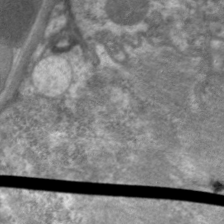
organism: C. elegans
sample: Pharynx